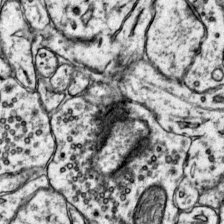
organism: Mouse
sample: Primary visual cortex